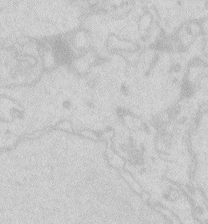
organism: Zebrafish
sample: Macrophage